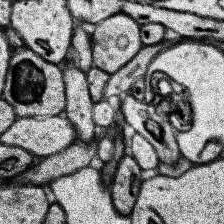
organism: Human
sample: Temporal Lobe